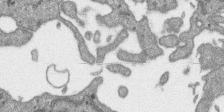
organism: Human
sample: Lung epithelial cells infected with SARS-CoV-2